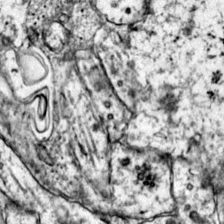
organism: Mouse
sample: Primary visual cortex